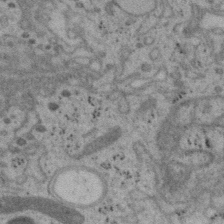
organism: Human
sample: HeLa cells